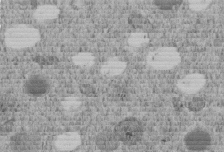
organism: C. elegans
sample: C. elegans embryo early stage